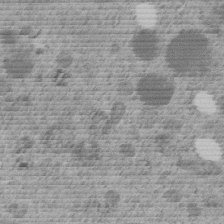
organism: C. elegans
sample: C. elegans embryo early stage